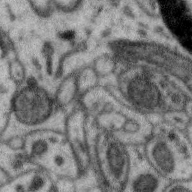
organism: Zebra finch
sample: Brain